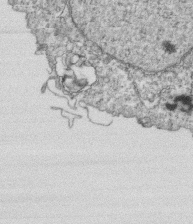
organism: Human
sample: HeLa cell HIV synapse